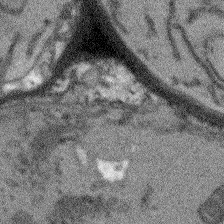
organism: Arabidopsis thaliana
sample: Root tip